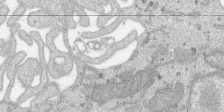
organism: Human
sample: Lung epithelial cells infected with SARS-CoV-2